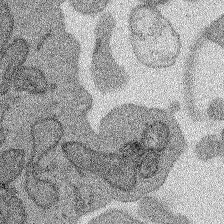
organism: Human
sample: HeLa cells